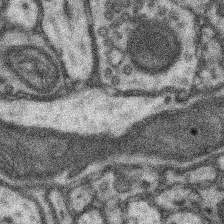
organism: Mouse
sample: Somatosensory cortex neuropil